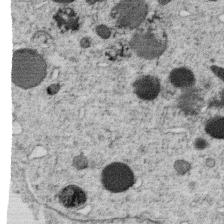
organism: C. elegans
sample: C. elegans oocyte; sperm cells